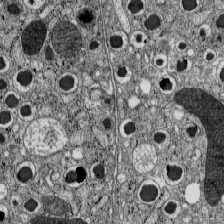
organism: C57BL Mouse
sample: Pancreatic islet